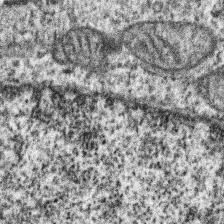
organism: Human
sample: HeLa cells